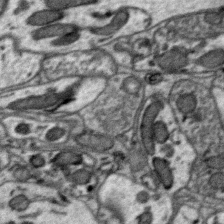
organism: Zebra finch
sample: Brain